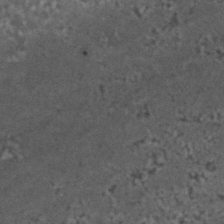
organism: C. elegans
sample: C. elegans embryo